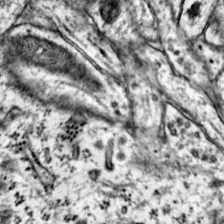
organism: Mouse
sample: Primary visual cortex